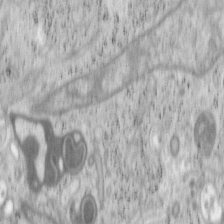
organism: Human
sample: HeLa cells